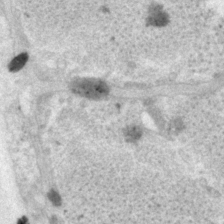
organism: P. pacificus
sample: Pharynx